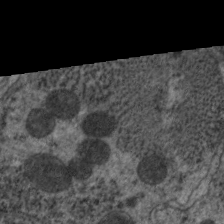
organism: C. elegans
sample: Pharynx